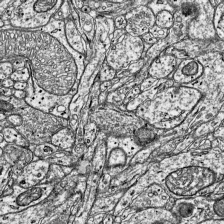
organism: Mouse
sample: Visual Cortex